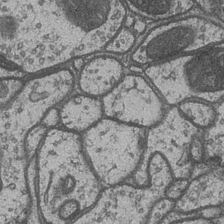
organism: Drosophila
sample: Optic medulla